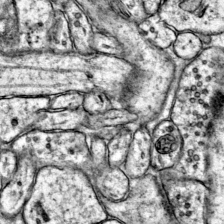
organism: Mouse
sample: Primary visual cortex